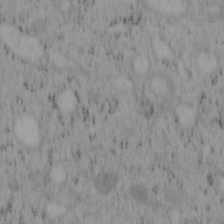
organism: Mouse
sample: OT-I killer T cells with ID8 ovarian cancer cells